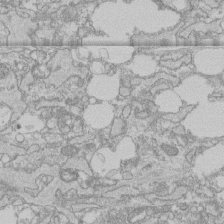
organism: Human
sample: CRL-1474